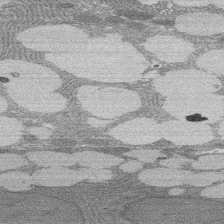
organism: Rat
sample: Salivary granule